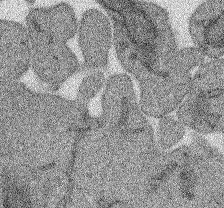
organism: Human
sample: HeLa cells